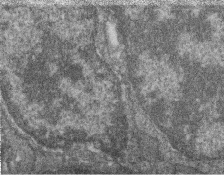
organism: Zebrafish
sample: Cilia; retinal pigment epithelium